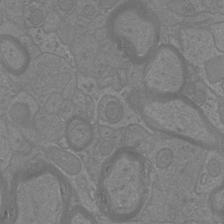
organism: Mouse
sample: Cortical neurons